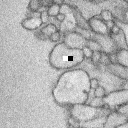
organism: Rabbit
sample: Retina